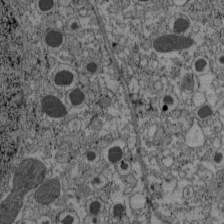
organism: C57BL Mouse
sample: Pancreatic islet